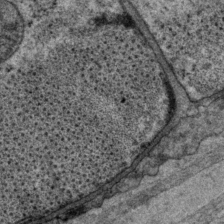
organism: P. pacificus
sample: Pharynx